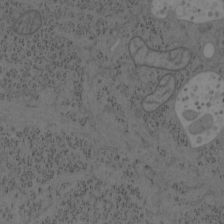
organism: Mouse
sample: OT-I killer T cells with ID8 ovarian cancer cells